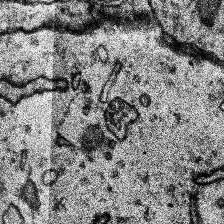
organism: Human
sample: Temporal Lobe